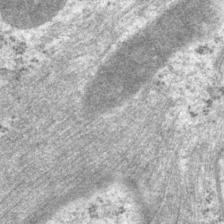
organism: P. pacificus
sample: Pharynx